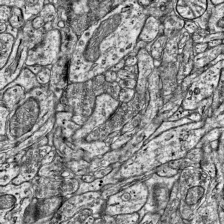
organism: Mouse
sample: Visual Cortex